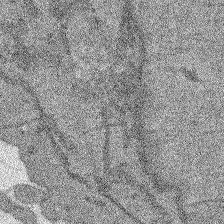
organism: Human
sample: HeLa cells